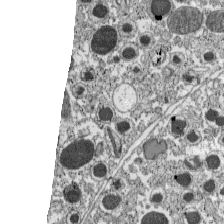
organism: C57BL Mouse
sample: Pancreatic islet